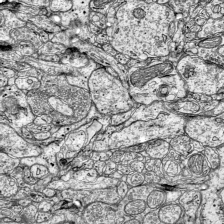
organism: Mouse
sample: Visual Cortex